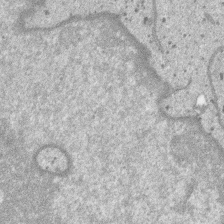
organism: Human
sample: Lung epithelial cells infected with SARS-CoV-2